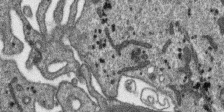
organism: Human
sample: Lung epithelial cells infected with SARS-CoV-2